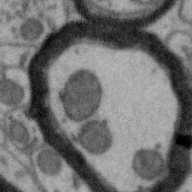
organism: Zebra finch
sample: Brain